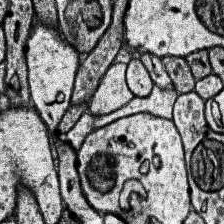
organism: Human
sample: Temporal Lobe